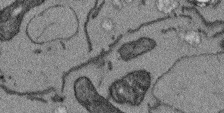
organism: Arabidopsis thaliana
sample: Root tip